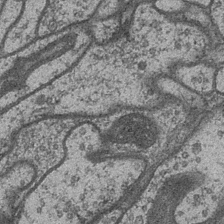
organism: Drosophila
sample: Optic medulla